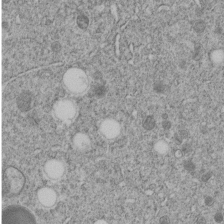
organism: C. elegans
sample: C. elegans embryo early stage